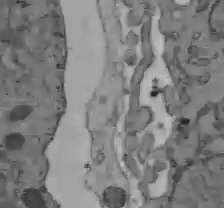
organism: C57BL Mouse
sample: Liver